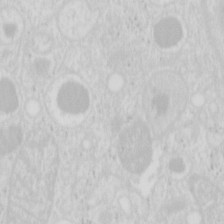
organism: Mouse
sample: Pancreas